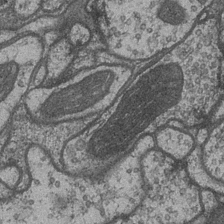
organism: Drosophila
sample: Optic medulla